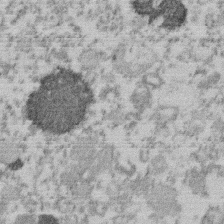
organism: Mouse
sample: Dividing mouse embryo 1 cell stage